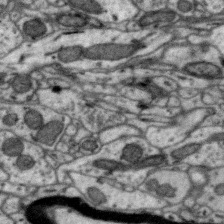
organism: Zebra finch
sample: Brain